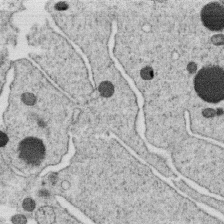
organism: C. elegans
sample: C. elegans oocyte; sperm cells